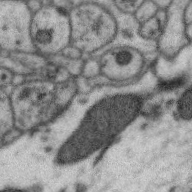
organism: Zebra finch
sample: Brain